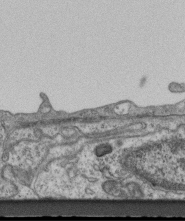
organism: Mouse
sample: Centriole in ependymal cells